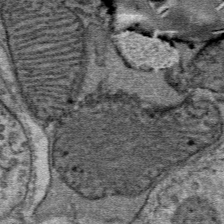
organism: Mouse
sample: Mouse Salivary gland